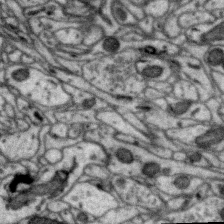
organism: Zebra finch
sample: Brain